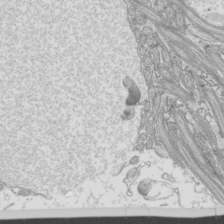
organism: Mouse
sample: Cilia; mouse epididymis